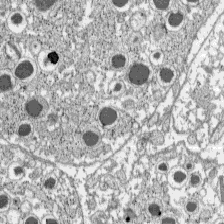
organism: C57BL Mouse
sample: Pancreatic islet